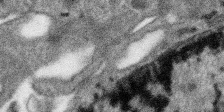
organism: Human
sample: Lung epithelial cells infected with SARS-CoV-2